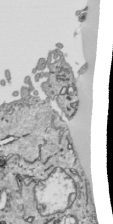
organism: Human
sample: Mitochondria in HCT116 cells